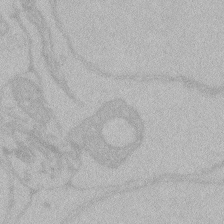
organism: Zebrafish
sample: Macrophage infected with Toxoplasma gondii